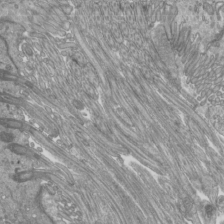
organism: Mouse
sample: Cilia; mouse epididymis